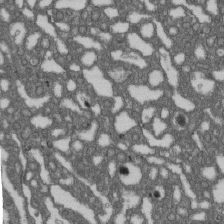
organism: Drosophila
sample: Nephrocyte